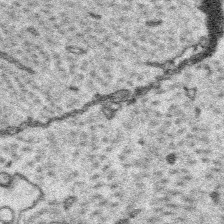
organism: Platynereis dumerilii